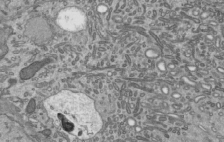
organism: Mouse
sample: Mouse epididymis efferent ductule cilia